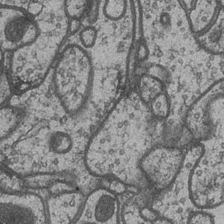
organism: Drosophila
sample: Optic medulla